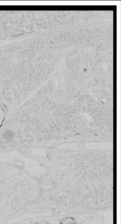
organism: Human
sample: Mitochondria in HCT116 cells